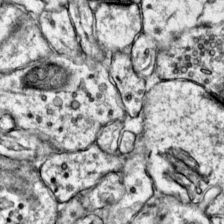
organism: Mouse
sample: Primary visual cortex